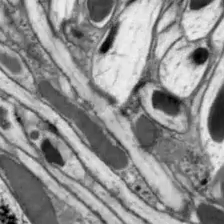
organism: Drosophila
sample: Optic lobe